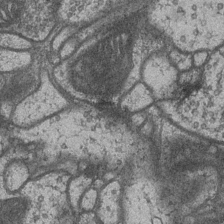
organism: Drosophila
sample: Optic medulla